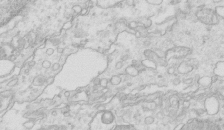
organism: Mouse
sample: Multiciliated cells